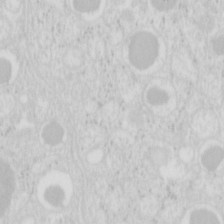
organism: Mouse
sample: Pancreas